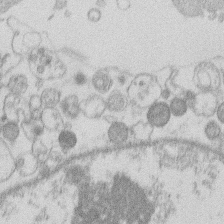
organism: Human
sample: Macrophage cells